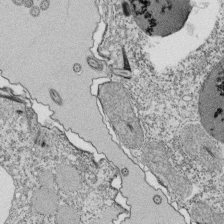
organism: Tetrahymena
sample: Cilia in tetrahymena